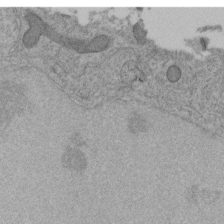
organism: C. elegans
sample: C. elegans embryo early stage